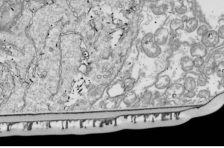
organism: Drosophila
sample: Cell division; meiosis; drosophila spermatocytes